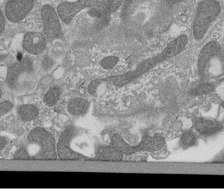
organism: Tetrahymena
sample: Cilia in tetrahymena